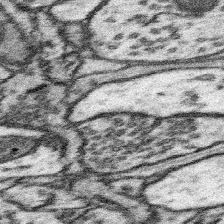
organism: Mouse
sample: Somatosensory cortex neuropil